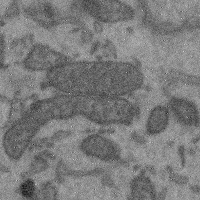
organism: Mouse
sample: Cerebral cortex